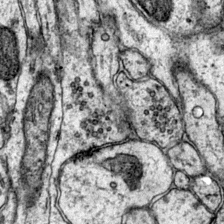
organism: Mouse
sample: Primary visual cortex